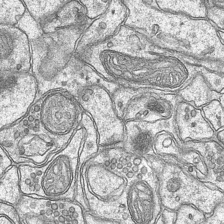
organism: Mouse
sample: CA1 Hippocampus